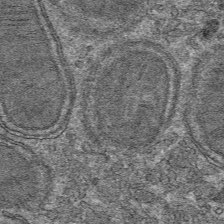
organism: Mouse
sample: Mouse hepatocytes